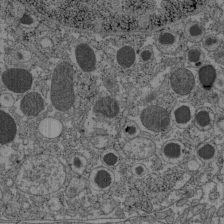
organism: C57BL Mouse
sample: Pancreatic islet